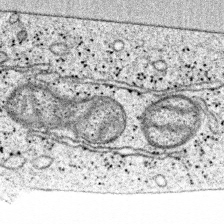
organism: Human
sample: HeLa cells